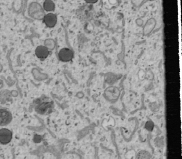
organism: Human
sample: Mitochondria in U2OS cells